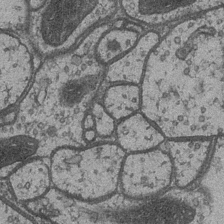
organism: Drosophila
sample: Optic medulla